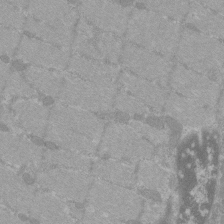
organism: C57BL Mouse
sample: Tibialis anterior muscle cell